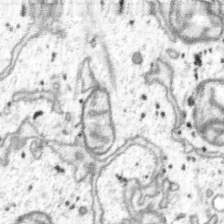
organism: Human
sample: HeLa cells